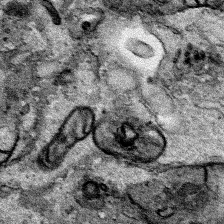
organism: Human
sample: Mitochondria in HCT116 cells